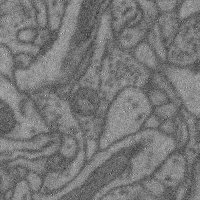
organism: Mouse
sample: Cerebral cortex